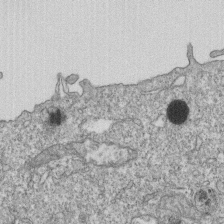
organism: Human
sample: HeLa cell HIV synapse